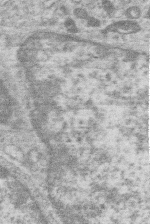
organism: Human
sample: Macrophage cells